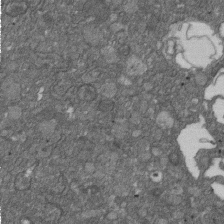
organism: Drosophila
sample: Nephrocyte